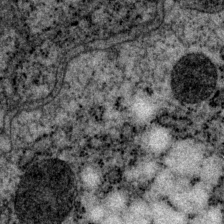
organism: P. pacificus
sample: Pharynx